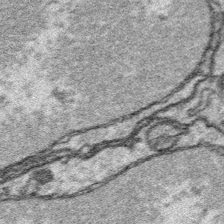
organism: Platynereis dumerilii